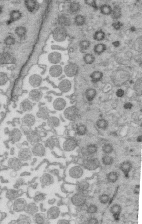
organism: Mouse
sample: Multiciliated cells